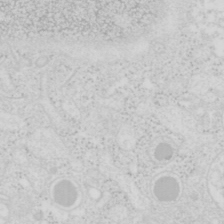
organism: Mouse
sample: Pancreas